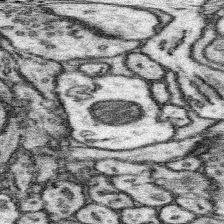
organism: Mouse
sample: Somatosensory cortex neuropil